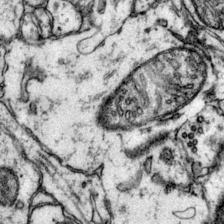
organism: Mouse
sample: Primary visual cortex